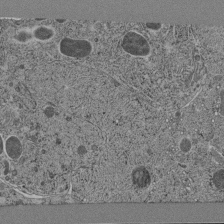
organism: C. elegans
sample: C. elegans pharynx